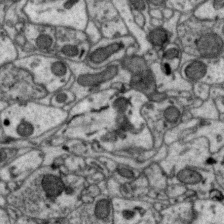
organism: Zebra finch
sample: Brain